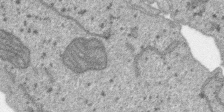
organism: Human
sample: Lung epithelial cells infected with SARS-CoV-2